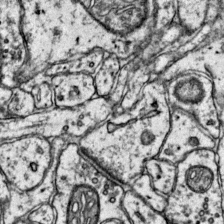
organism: Mouse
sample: Primary visual cortex